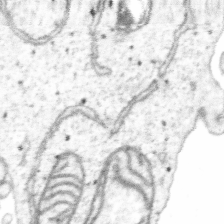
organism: Human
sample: HeLa cells